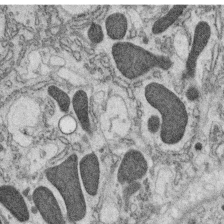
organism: C. elegans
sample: C. elegans oocyte; sperm cells